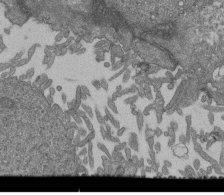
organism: Human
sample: Retinal organoid Rod and Cone cells